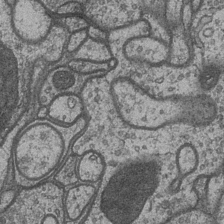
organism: Drosophila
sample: Optic medulla